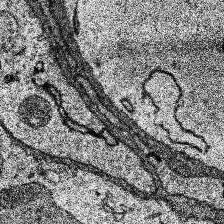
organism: Human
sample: Temporal Lobe